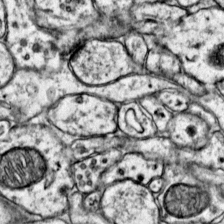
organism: Mouse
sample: Primary visual cortex